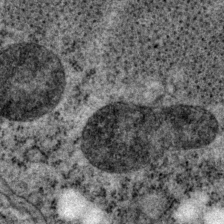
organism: P. pacificus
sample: Pharynx